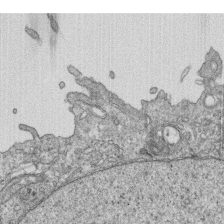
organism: Human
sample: HeLa cell HIV synapse